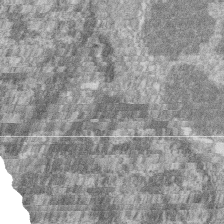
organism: Zebrafish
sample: Cilia; retinal pigment epithelium